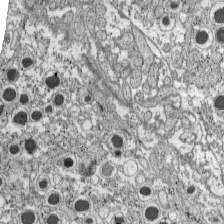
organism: C57BL Mouse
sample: Pancreatic islet